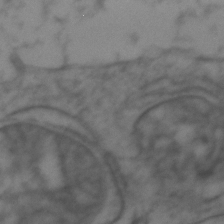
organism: Zebrafish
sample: Zebrafish embryo